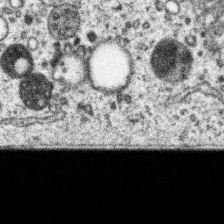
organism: Human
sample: HeLa cells